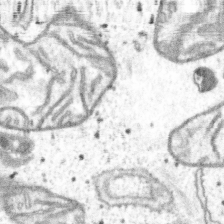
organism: Human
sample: HeLa cells